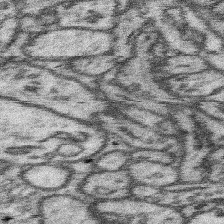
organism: Mouse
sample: Somatosensory cortex neuropil